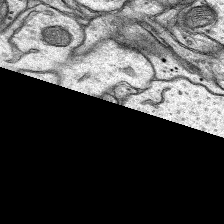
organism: Rat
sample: Hippocampus